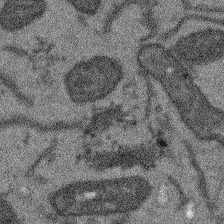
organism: Arabidopsis thaliana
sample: Root tip